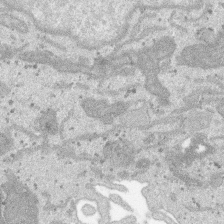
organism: Human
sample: Lung epithelial cells infected with SARS-CoV-2